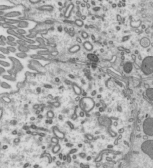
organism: Mouse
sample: Mouse epididymis efferent ductule cilia